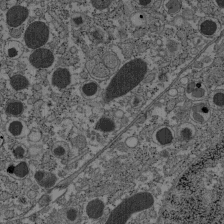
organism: C57BL Mouse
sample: Pancreatic islet